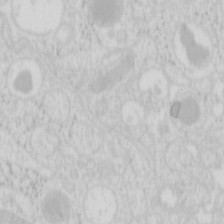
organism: Mouse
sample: Pancreas